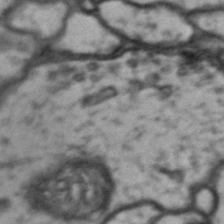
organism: Drosophila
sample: Brain